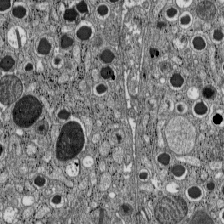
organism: C57BL Mouse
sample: Pancreatic islet